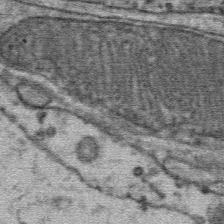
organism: Mouse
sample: Mouse Salivary gland